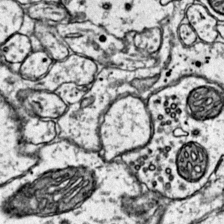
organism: Mouse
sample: Primary visual cortex